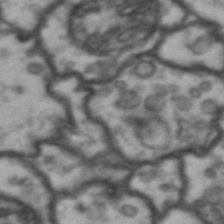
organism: Drosophila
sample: Brain